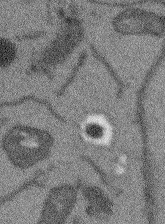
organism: Arabidopsis thaliana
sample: Root tip